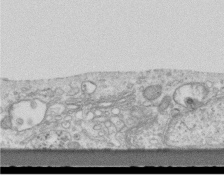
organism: Mouse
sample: Centriole in ependymal cells